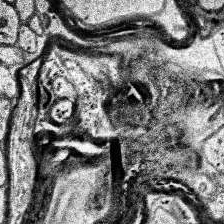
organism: Human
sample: Temporal Lobe